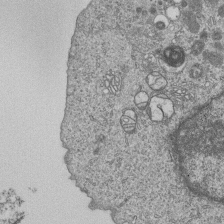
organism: Human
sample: MDA-MB-231 cells